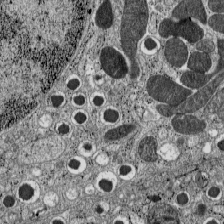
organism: C57BL Mouse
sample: Pancreatic islet